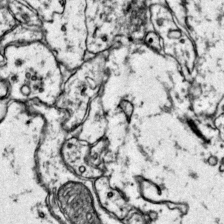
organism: Mouse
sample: Primary visual cortex